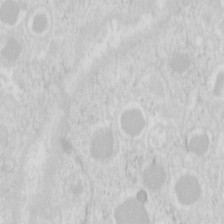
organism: Mouse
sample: Pancreas